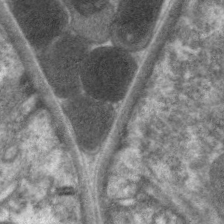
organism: C. elegans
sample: Pharynx